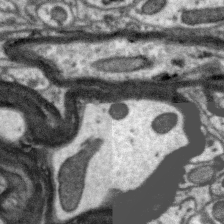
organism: Zebra finch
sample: Brain